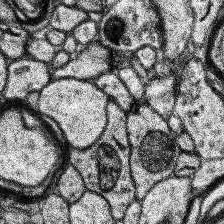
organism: Human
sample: Temporal Lobe